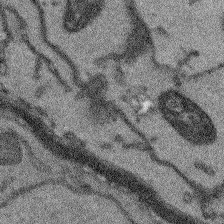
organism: Arabidopsis thaliana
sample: Root tip